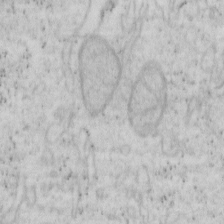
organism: Human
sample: HeLa cells